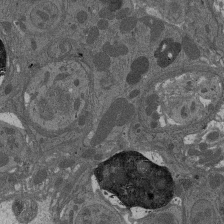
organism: Drosophila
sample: Antenna